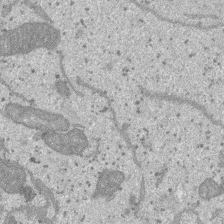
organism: Human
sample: Lung epithelial cells infected with SARS-CoV-2